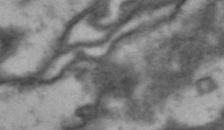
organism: Drosophila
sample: Brain